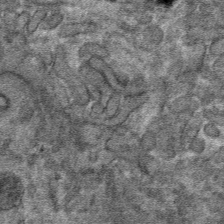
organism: Mouse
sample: Mouse hepatocytes